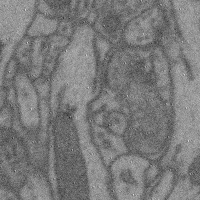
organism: Mouse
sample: Cerebral cortex